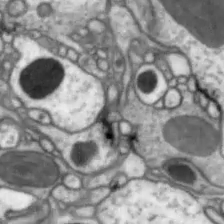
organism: Drosophila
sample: Optic lobe